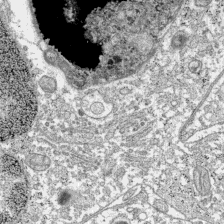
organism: C57BL Mouse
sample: Pancreatic islet